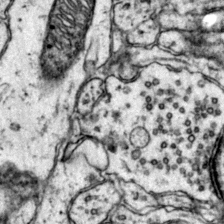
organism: Mouse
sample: Primary visual cortex